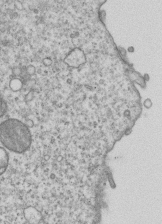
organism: Human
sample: MDA-MB-231 cells